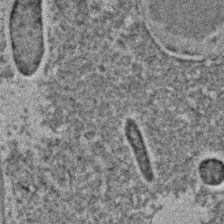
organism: C. elegans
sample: C. elegans embryo